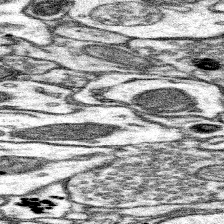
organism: Mouse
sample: Somatosensory cortex neuropil